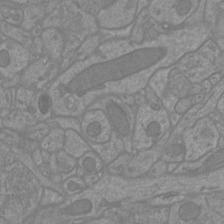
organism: Mouse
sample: Cortical neurons